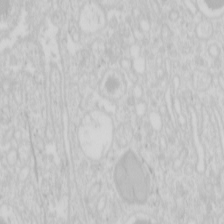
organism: Mouse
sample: Pancreas